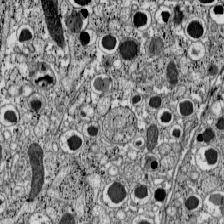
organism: C57BL Mouse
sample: Pancreatic islet